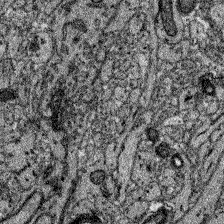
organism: Zebrafish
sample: Larval olfactory bulb